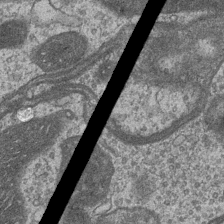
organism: Drosophila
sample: Optic medulla